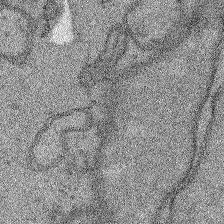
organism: Human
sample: HeLa cells